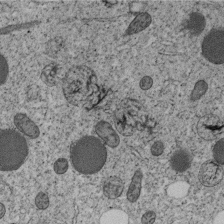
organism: C. elegans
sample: C. elegans embryo early stage